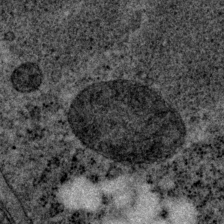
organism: P. pacificus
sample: Pharynx